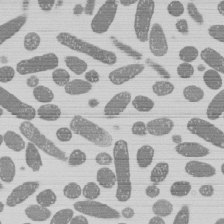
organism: E. coli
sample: Bacterial nucleoid